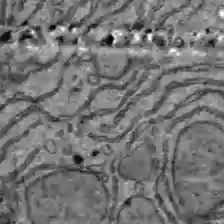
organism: C57BL Mouse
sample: Liver